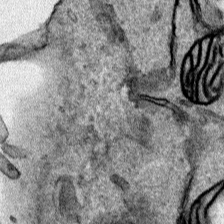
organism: Human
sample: Mitochondria in HCT116 cells